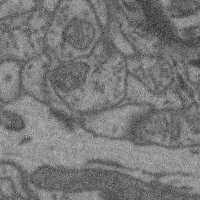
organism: Mouse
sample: Cerebral cortex